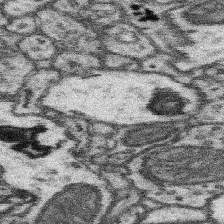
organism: Mouse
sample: Somatosensory cortex neuropil